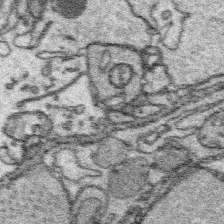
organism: Platynereis dumerilii